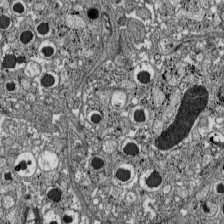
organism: C57BL Mouse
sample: Pancreatic islet